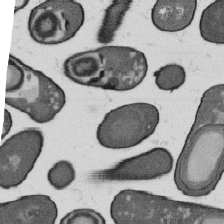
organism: B. subtilis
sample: Bacterial spore